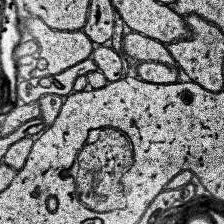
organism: Human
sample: Temporal Lobe